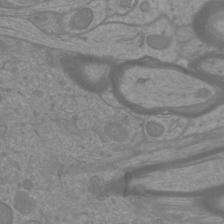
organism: Mouse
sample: Cortical neurons